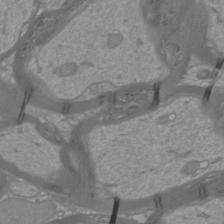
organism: Mouse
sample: Cortical neurons